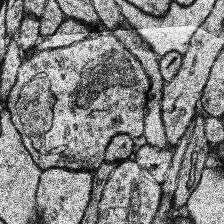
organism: Human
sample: Temporal Lobe